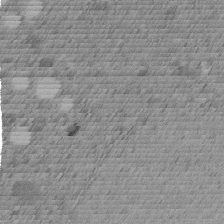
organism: C. elegans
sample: C. elegans embryo early stage